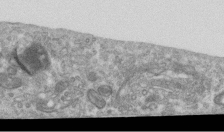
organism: Human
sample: Centriole in RPE cells